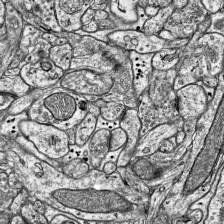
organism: Mouse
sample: Visual Cortex